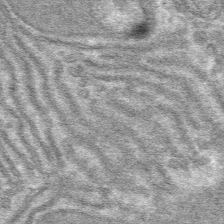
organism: Mouse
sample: Mouse hepatocytes